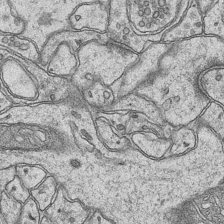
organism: Mouse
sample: CA1 Hippocampus